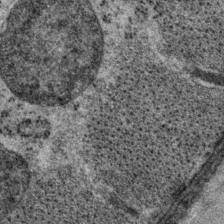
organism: P. pacificus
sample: Pharynx